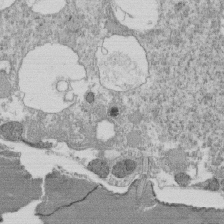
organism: Tetrahymena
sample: Cilia in tetrahymena